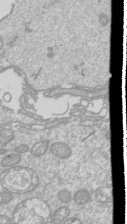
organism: Drosophila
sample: Cell division; meiosis; drosophila spermatocytes